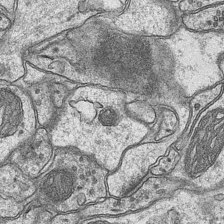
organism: Mouse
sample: CA1 Hippocampus